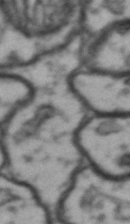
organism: Drosophila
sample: Brain